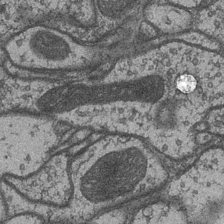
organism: Drosophila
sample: Optic medulla